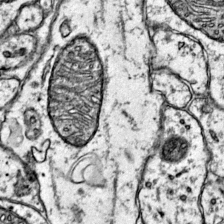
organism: Mouse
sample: Primary visual cortex